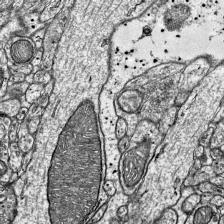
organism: Mouse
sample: Visual Cortex